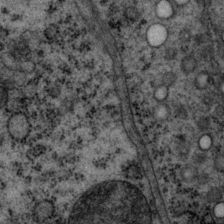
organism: P. pacificus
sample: Pharynx